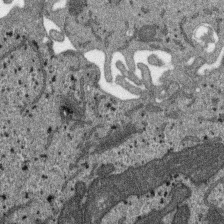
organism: Human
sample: Lung epithelial cells infected with SARS-CoV-2